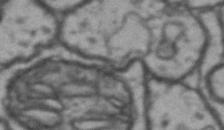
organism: Drosophila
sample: Brain